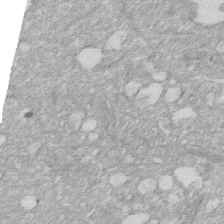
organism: Human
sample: HIV infected U937 cells